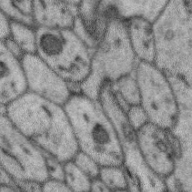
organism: Zebra finch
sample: Brain